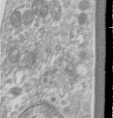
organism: Human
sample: Centriole in RPE cells